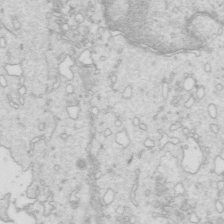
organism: Mouse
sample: Multiciliated cells